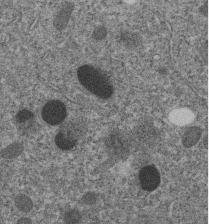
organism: C. elegans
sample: C. elegans embryo early stage